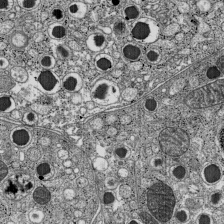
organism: C57BL Mouse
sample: Pancreatic islet